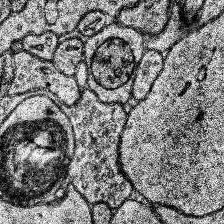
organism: Human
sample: Temporal Lobe